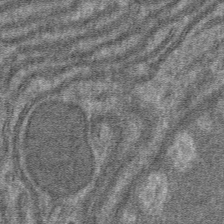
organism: Mouse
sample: Mouse hepatocytes